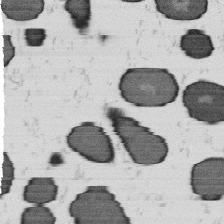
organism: B. subtilis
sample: Bacterial spore